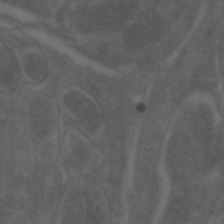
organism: Zebrafish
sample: Zebrafish embryo